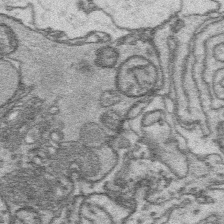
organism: Platynereis dumerilii